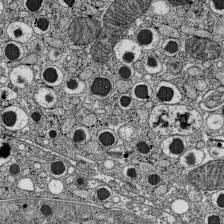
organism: C57BL Mouse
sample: Pancreatic islet